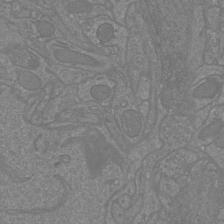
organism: Mouse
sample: Cortical neurons